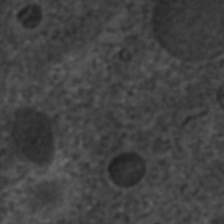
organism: C. elegans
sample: C. elegans embryo